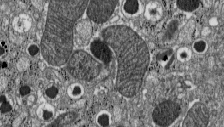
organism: C57BL Mouse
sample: Pancreatic islet